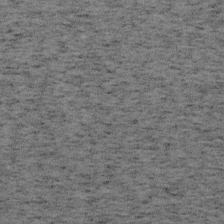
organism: Mouse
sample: OT-I killer T cells with ID8 ovarian cancer cells